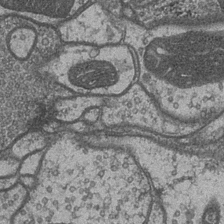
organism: Drosophila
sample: Optic medulla